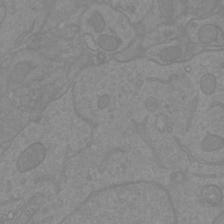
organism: Mouse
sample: Cortical neurons